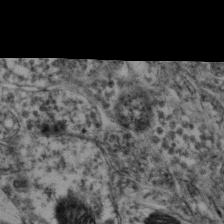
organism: Mouse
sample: Neocortex